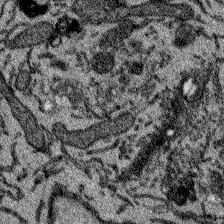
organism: Zebrafish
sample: Larval olfactory bulb